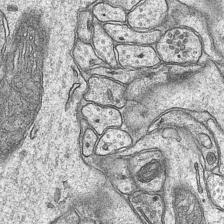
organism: Mouse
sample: CA1 Hippocampus